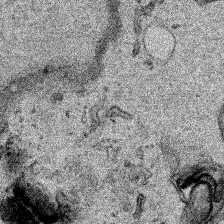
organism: Human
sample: Mitochondria in HCT116 cells